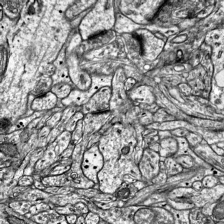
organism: Mouse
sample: Visual Cortex